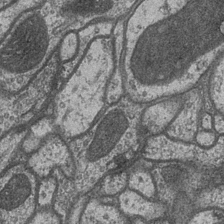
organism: Drosophila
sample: Optic medulla